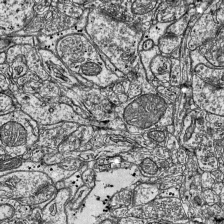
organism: Mouse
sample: Visual Cortex